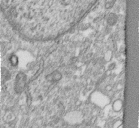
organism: Human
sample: Centriole in fibroblast cells